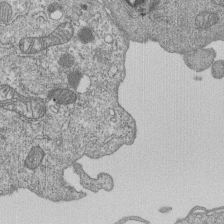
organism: Human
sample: MDA-MB-231 cells